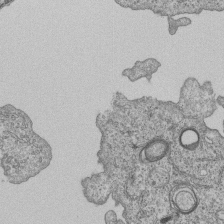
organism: Human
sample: MDA-MB-231 cells